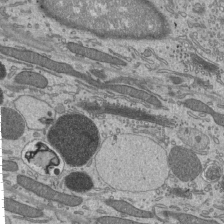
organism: Mouse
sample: Mouse epididymis efferent ductule cilia